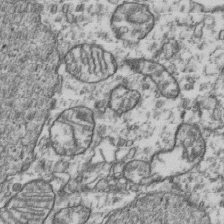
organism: Human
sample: Activated Jurkat CD4+ T cells